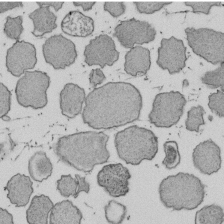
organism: E. coli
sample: Bacterial nucleoid